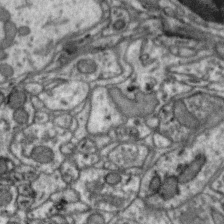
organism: Zebra finch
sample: Brain